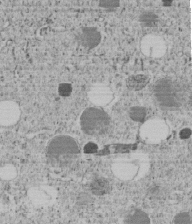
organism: C. elegans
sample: C. elegans embryo early stage